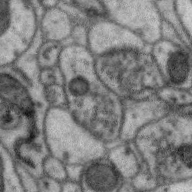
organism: Zebra finch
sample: Brain